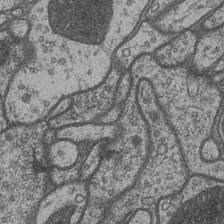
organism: Drosophila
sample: Optic medulla